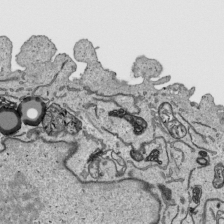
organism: Human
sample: Mitochondria in HCT116 cells